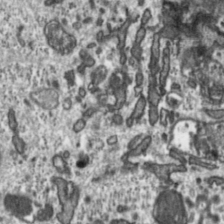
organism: Toxoplasma gondii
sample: Parasites in a vacuole inside a host cell